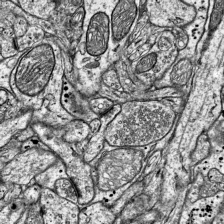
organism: Mouse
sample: Visual Cortex